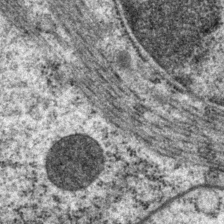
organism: P. pacificus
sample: Pharynx